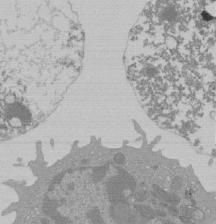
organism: Mouse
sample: Activated Pmel transgenic CD8+ T Cells